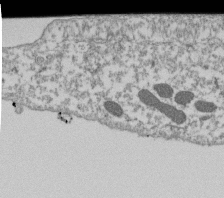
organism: Dictyostelium discoideum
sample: Dictyostelium multivesicular bodies